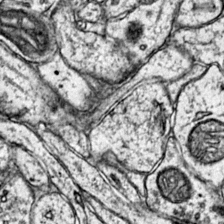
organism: Mouse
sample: Primary visual cortex